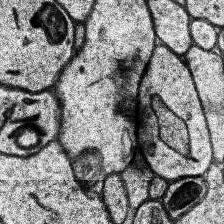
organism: Human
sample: Temporal Lobe